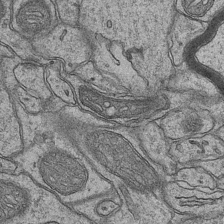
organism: Mouse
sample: CA1 Hippocampus